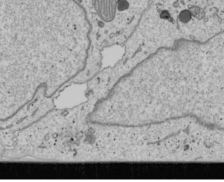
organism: Human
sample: Mitochondria in U2OS cells